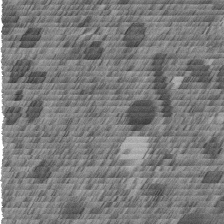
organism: C. elegans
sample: C. elegans embryo early stage